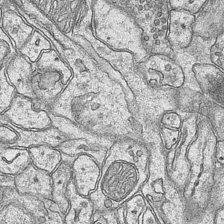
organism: Mouse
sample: CA1 Hippocampus